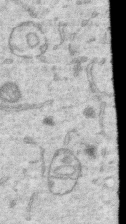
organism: Human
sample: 1205lu cells